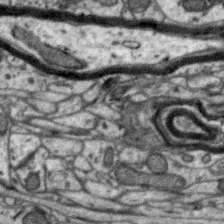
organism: Zebra finch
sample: Brain